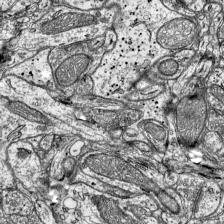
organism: Mouse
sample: Visual Cortex